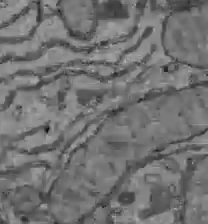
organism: C57BL Mouse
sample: Liver